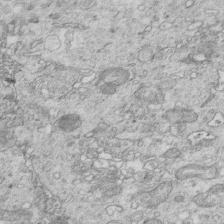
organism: Mouse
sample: Multiciliated cells